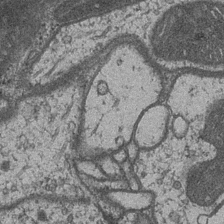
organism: Drosophila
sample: Optic medulla